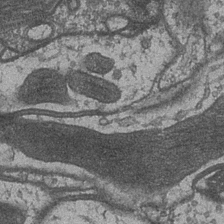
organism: Drosophila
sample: Optic medulla